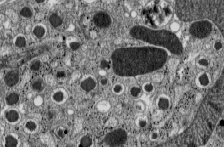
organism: C57BL Mouse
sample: Pancreatic islet